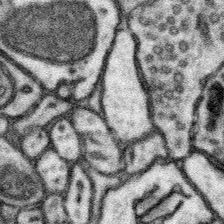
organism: Mouse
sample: Somatosensory cortex neuropil